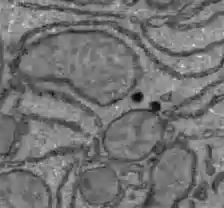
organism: C57BL Mouse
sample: Liver